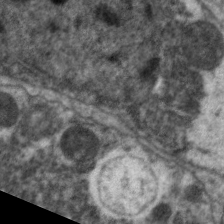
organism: C. elegans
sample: Pharynx